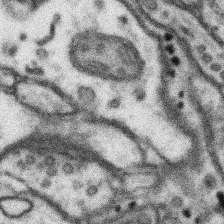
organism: Mouse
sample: Somatosensory cortex neuropil